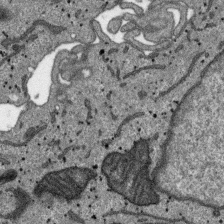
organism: Human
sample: Lung epithelial cells, uninfected (mock) control